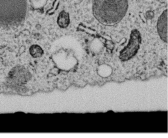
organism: C. elegans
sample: C. elegans embryo early stage